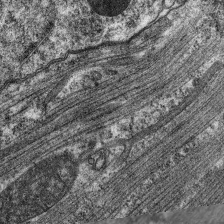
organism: C. elegans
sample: Pharynx